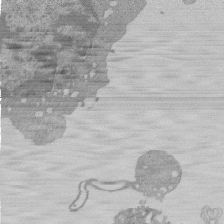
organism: Mouse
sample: Activated Pmel transgenic CD8+ T Cells